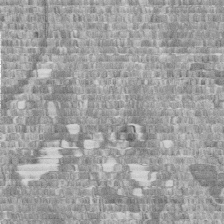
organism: Human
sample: Centriole in fibroblast cells